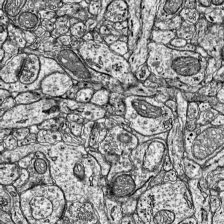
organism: Mouse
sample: Visual Cortex